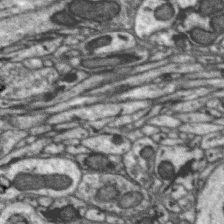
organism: Zebra finch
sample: Brain